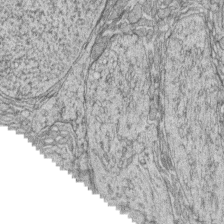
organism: Zebrafish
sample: synaptic ribbons in rod cells and cone cells